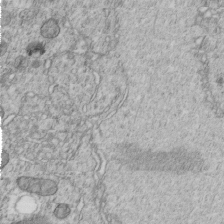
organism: C. elegans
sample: C. elegans embryo early stage